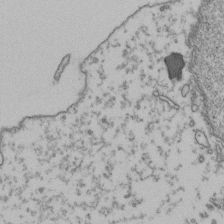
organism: Human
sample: Activated Jurkat CD4+ T cells